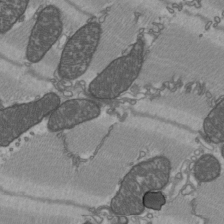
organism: C57BL Mouse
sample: Heart